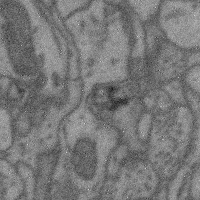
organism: Mouse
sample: Cerebral cortex